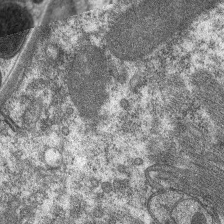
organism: C. elegans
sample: Pharynx